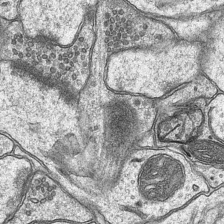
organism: Mouse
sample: CA1 Hippocampus